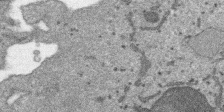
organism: Human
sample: Lung epithelial cells infected with SARS-CoV-2